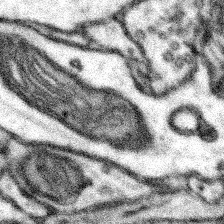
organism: Mouse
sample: Somatosensory cortex neuropil